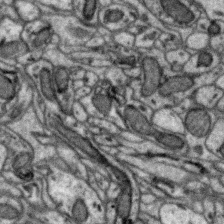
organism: Zebra finch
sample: Brain